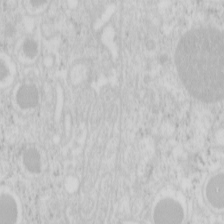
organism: Mouse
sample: Pancreas